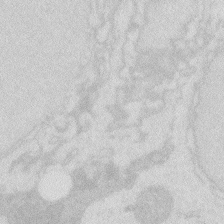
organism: Zebrafish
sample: Macrophage